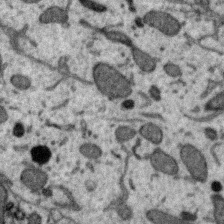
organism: Zebra finch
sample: Brain